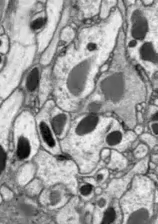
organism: Drosophila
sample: Optic lobe